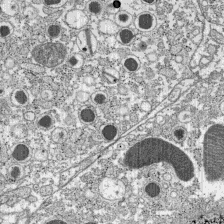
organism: C57BL Mouse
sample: Pancreatic islet